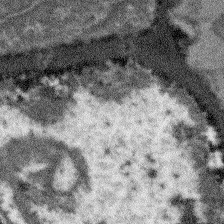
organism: Arabidopsis thaliana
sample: Root tip